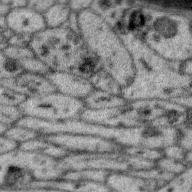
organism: Zebra finch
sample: Brain